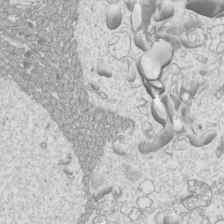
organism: Mouse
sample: Cilia; mouse epididymis